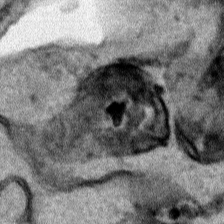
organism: Human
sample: Mitochondria in HCT116 cells